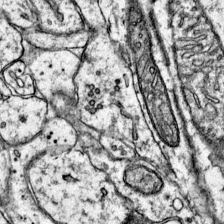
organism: Mouse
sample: Primary visual cortex